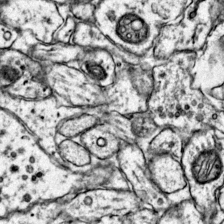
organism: Mouse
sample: Primary visual cortex